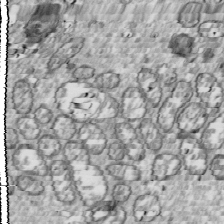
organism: Drosophila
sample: Cell division; meiosis; drosophila spermatocytes